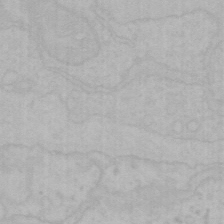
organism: Mouse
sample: Choroid plexus